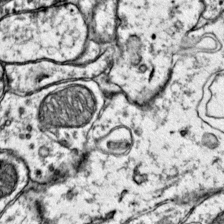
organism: Mouse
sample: Primary visual cortex